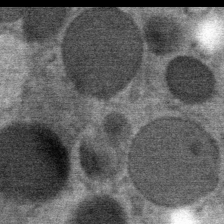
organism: Mouse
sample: Mouse Salivary gland